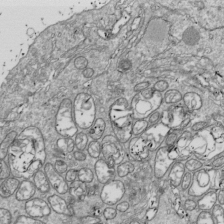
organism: Drosophila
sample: Cell division; meiosis; drosophila spermatocytes